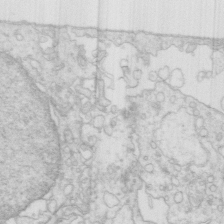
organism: Mouse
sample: Multiciliated cells